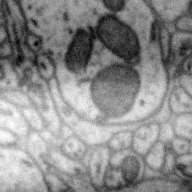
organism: Zebra finch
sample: Brain